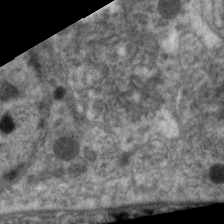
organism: C. elegans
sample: Pharynx